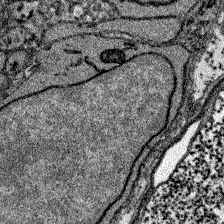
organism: Zebrafish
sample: Larval olfactory bulb